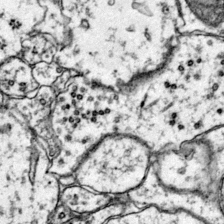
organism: Mouse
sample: Primary visual cortex